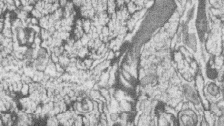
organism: Zebrafish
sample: synaptic ribbons in rod cells and cone cells